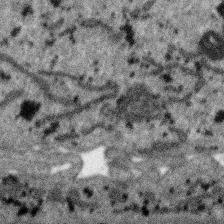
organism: Human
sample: Lung epithelial cells infected with SARS-CoV-2